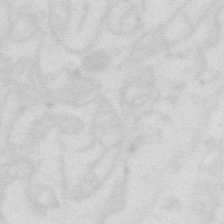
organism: Human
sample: HeLa cells